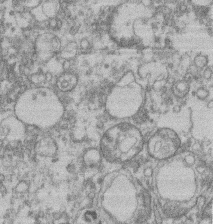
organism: Mouse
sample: T cell stromal cell synapse